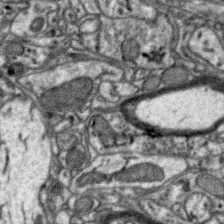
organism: Zebra finch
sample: Brain